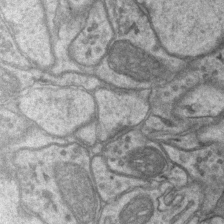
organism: Mouse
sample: CA1 Hippocampus